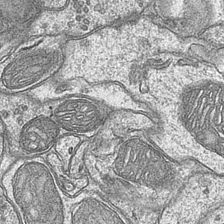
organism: Mouse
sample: CA1 Hippocampus